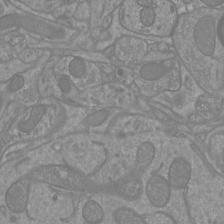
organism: Mouse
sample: Cortical neurons